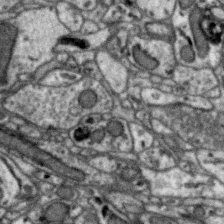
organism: Zebra finch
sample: Brain